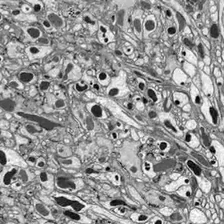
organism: Drosophila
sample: Optic lobe